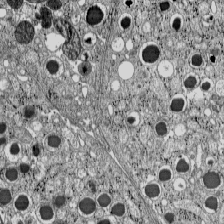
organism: C57BL Mouse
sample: Pancreatic islet